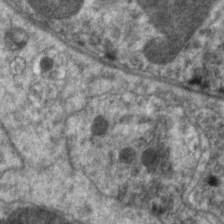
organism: C. elegans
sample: Pharynx